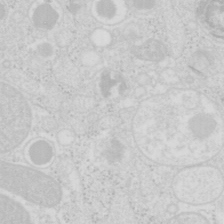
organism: Mouse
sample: Pancreas